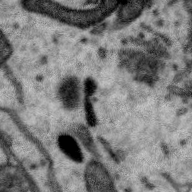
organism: Zebra finch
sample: Brain